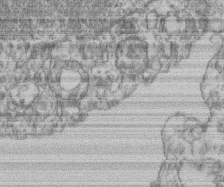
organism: Mouse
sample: T cell stromal cell synapse